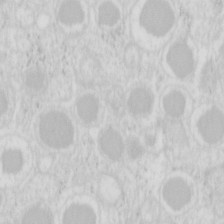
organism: Mouse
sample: Pancreas